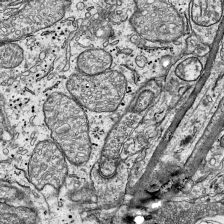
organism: Mouse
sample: Visual Cortex